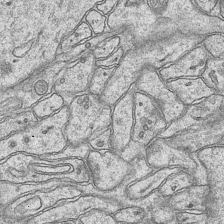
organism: Mouse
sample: CA1 Hippocampus